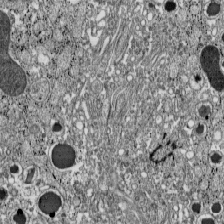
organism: C57BL Mouse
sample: Pancreatic islet